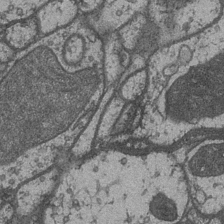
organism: Drosophila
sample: Optic medulla